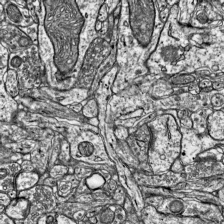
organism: Mouse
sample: Visual Cortex